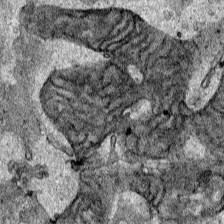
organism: Human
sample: Mitochondria in HCT116 cells